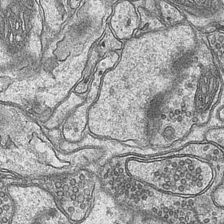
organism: Mouse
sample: CA1 Hippocampus